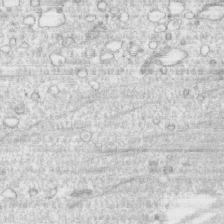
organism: Human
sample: CRL-1474